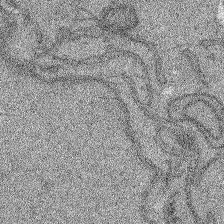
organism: Human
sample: HeLa cells